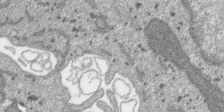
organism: Human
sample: Lung epithelial cells infected with SARS-CoV-2